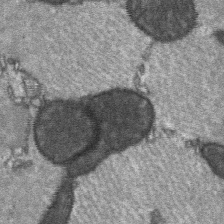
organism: C57BL Mouse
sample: Soleus